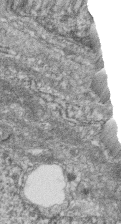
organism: Zebrafish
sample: Cilia; retinal pigment epithelium